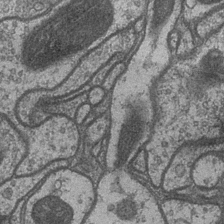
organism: Drosophila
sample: Optic medulla